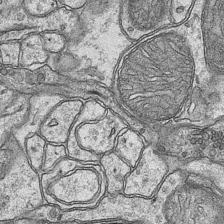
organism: Mouse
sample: CA1 Hippocampus